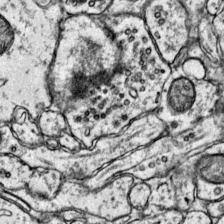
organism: Mouse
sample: Primary visual cortex